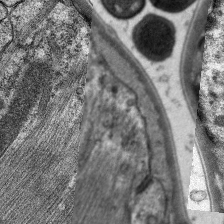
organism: C. elegans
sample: Pharynx